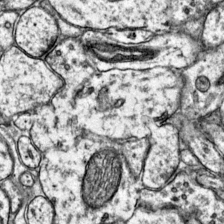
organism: Mouse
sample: Primary visual cortex